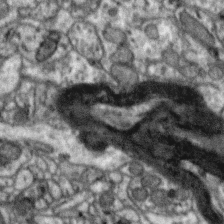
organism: Zebra finch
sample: Brain